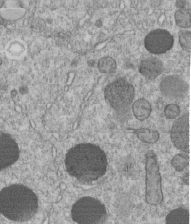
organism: C. elegans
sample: C. elegans embryo early stage